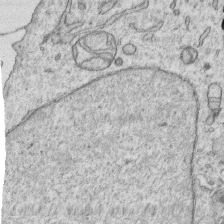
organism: Human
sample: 1205lu cells